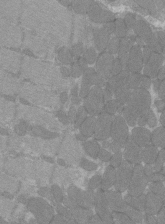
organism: C57BL Mouse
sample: Tibialis anterior muscle cell